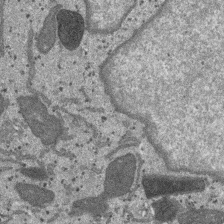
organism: Human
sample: Lung epithelial cells infected with SARS-CoV-2